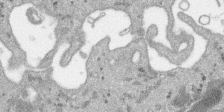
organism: Human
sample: Lung epithelial cells infected with SARS-CoV-2